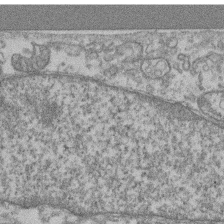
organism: Mouse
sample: T cell stromal cell synapse